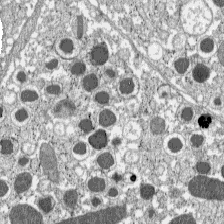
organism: C57BL Mouse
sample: Pancreatic islet